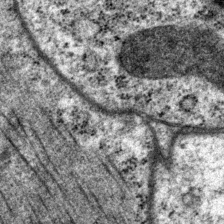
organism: P. pacificus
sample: Pharynx